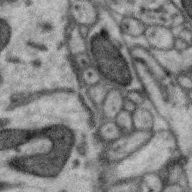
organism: Zebra finch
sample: Brain